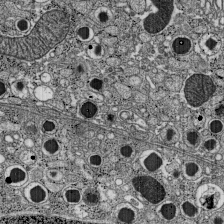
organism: C57BL Mouse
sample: Pancreatic islet